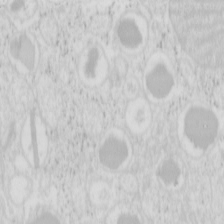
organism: Mouse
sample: Pancreas